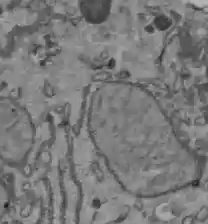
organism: C57BL Mouse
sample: Liver